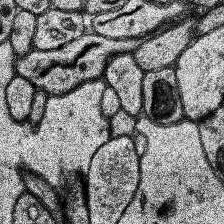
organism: Human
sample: Temporal Lobe